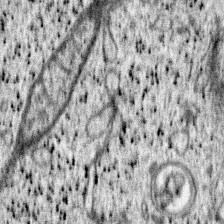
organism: Human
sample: HeLa cells